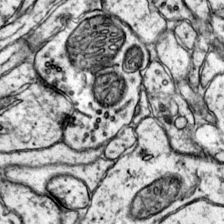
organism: Mouse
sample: Primary visual cortex